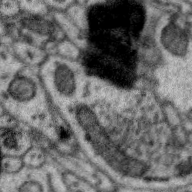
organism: Zebra finch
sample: Brain